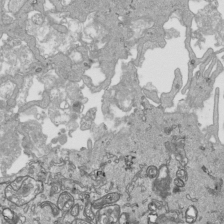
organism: Human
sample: Mitochondria in HCT116 cells